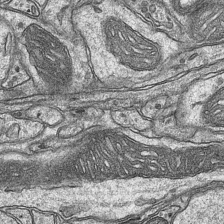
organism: Mouse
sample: CA1 Hippocampus